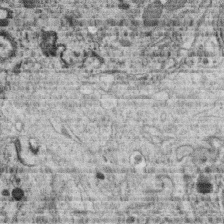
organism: C. elegans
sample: C. elegans oocyte; sperm cells